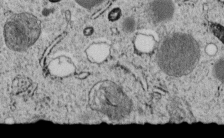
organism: C. elegans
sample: C. elegans embryo early stage